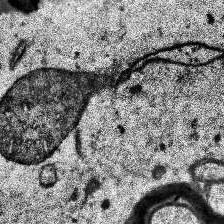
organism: Human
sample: Temporal Lobe